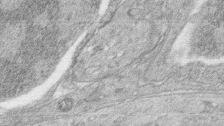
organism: Zebrafish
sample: synaptic ribbons in rod cells and cone cells